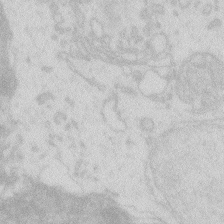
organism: Zebrafish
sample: Macrophage